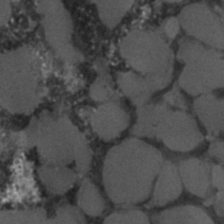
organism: C. elegans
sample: C. elegans embryo